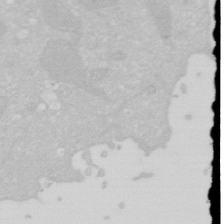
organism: Human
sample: HIV infected U937 cells